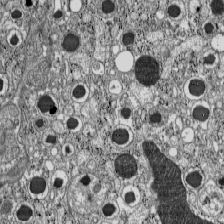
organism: C57BL Mouse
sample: Pancreatic islet